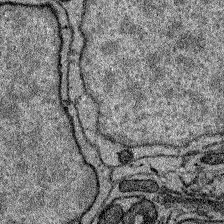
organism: Zebrafish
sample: Larval olfactory bulb